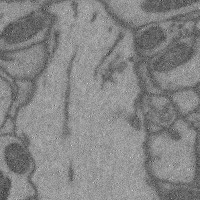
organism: Mouse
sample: Cerebral cortex